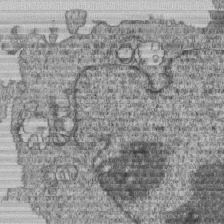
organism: Human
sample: MDA-MB-231 cells